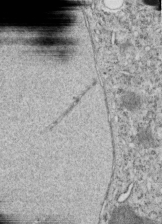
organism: C. elegans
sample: C. elegans embryo early stage